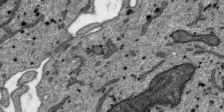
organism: Human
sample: Lung epithelial cells, uninfected (mock) control